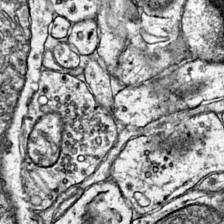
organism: Mouse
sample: Primary visual cortex